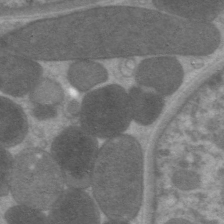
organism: C. elegans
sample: Pharynx